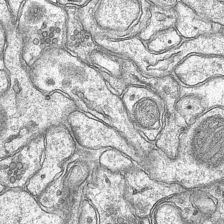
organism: Mouse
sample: CA1 Hippocampus